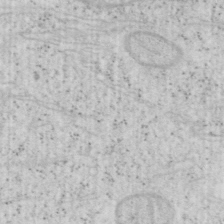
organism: Human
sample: HeLa cells